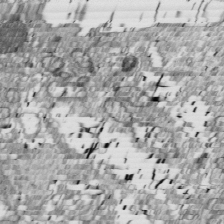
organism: Drosophila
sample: Cell division; meiosis; drosophila spermatocytes